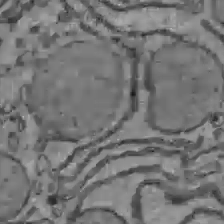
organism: C57BL Mouse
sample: Liver